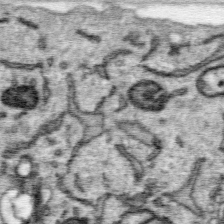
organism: Human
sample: HeLa cells